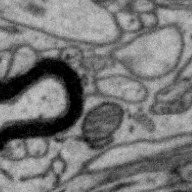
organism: Zebra finch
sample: Brain